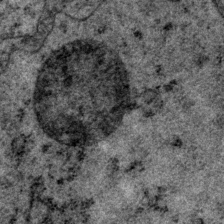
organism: P. pacificus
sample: Pharynx